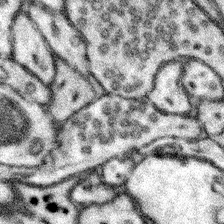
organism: Mouse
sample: Somatosensory cortex neuropil